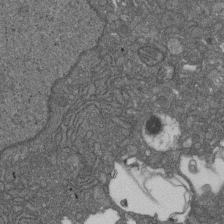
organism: Drosophila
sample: Nephrocyte